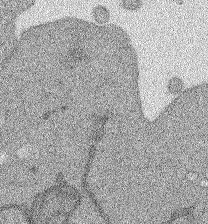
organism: Human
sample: HeLa cells